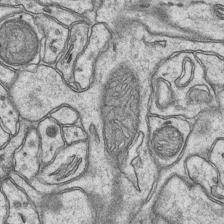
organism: Mouse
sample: CA1 Hippocampus